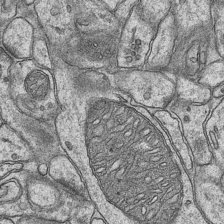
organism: Mouse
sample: CA1 Hippocampus